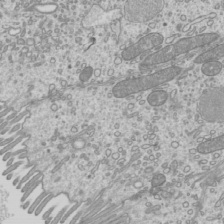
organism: Mouse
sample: Cilia; mouse epididymis